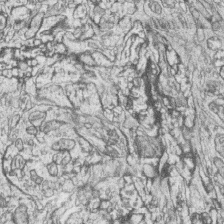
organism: Zebrafish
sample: synaptic ribbons in rod cells and cone cells